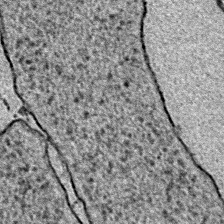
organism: E. coli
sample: E. Coli Bacteria